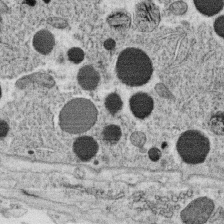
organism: C. elegans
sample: C. elegans oocyte; sperm cells